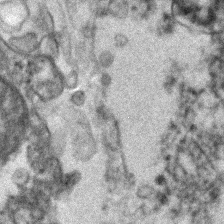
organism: Human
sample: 1205lu cells